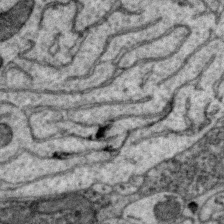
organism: Zebra finch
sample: Brain